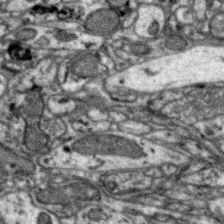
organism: Zebra finch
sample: Brain